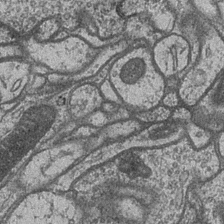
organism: Drosophila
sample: Optic medulla